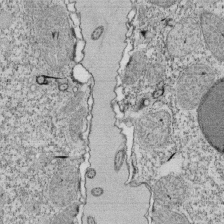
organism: Tetrahymena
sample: Cilia in tetrahymena